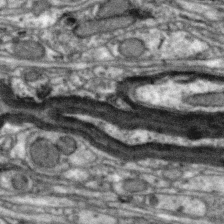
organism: Zebra finch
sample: Brain